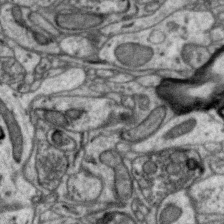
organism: Zebra finch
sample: Brain